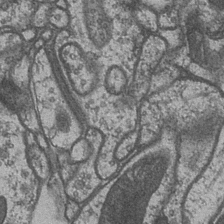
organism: Drosophila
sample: Optic medulla